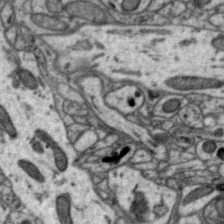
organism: Zebra finch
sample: Brain